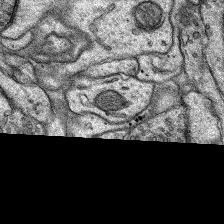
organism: Rat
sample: Hippocampus